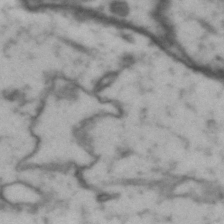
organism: Drosophila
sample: Brain